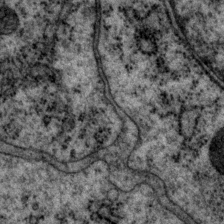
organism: P. pacificus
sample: Pharynx